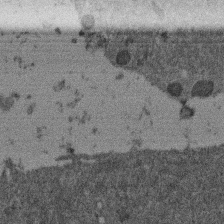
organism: Mouse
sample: Dividing mouse embryo 1 cell stage